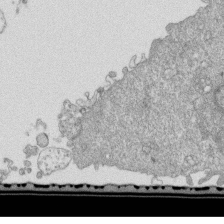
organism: Human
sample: HeLa cell HIV synapse